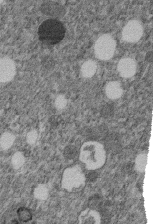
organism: C. elegans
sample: C. elegans embryo early stage